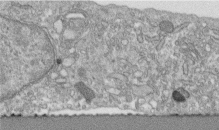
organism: Human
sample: Centriole in fibroblast cells